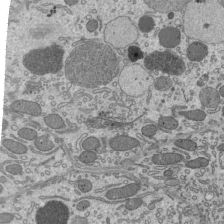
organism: Mouse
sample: Mouse epididymis efferent ductule cilia